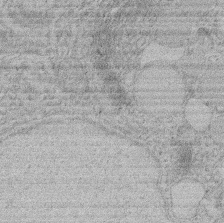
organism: Rat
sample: Salivary granule